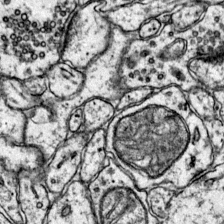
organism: Mouse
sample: Primary visual cortex